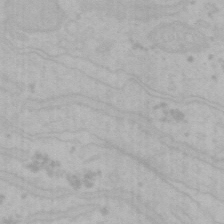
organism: Mouse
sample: Choroid plexus